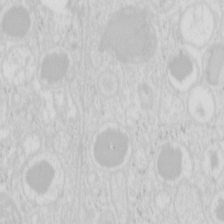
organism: Mouse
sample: Pancreas